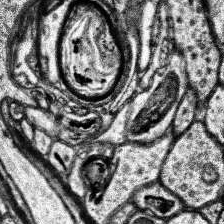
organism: Human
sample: Temporal Lobe